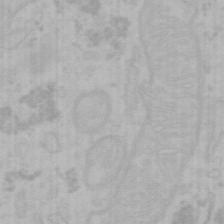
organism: Mouse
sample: Choroid plexus